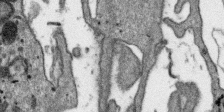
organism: Human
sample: Lung epithelial cells, uninfected (mock) control